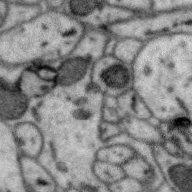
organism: Zebra finch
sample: Brain